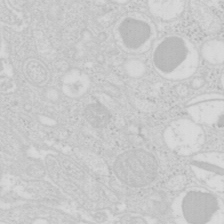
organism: Mouse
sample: Pancreas